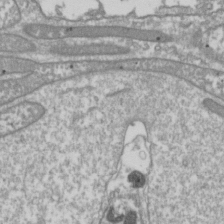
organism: Drosophila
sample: Cell division; meiosis; drosophila spermatocytes